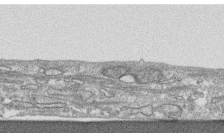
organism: Human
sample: CRL-1474